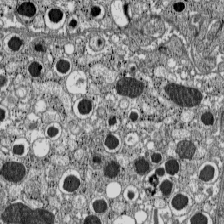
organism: C57BL Mouse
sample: Pancreatic islet